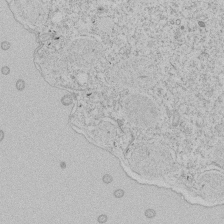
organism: Tetrahymena